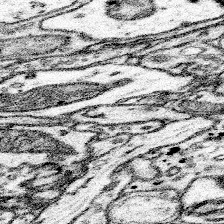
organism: Mouse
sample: Somatosensory cortex neuropil